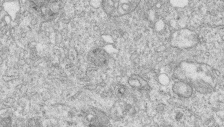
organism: Human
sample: HeLa cell HIV synapse